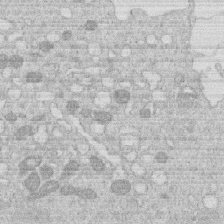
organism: Human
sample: Macrophage cells